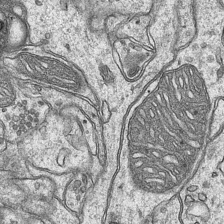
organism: Mouse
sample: CA1 Hippocampus